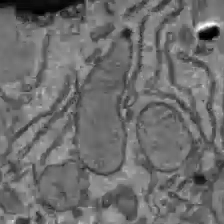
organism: C57BL Mouse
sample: Liver